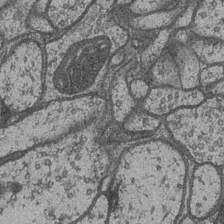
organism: Drosophila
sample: Optic medulla